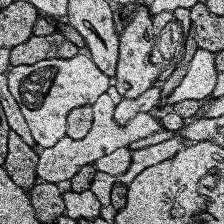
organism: Human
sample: Temporal Lobe